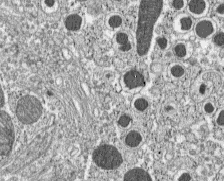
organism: C57BL Mouse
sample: Pancreatic islet